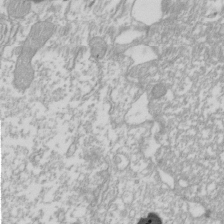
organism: Xenopus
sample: Cilia; centrioles in frog embryo cells